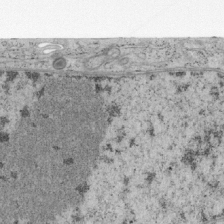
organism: Human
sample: HeLa cells